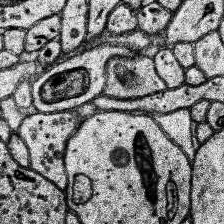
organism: Human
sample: Temporal Lobe